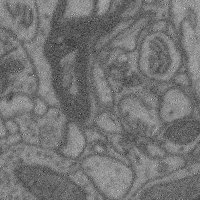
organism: Mouse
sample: Cerebral cortex